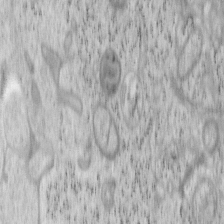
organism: Human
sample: HeLa cells